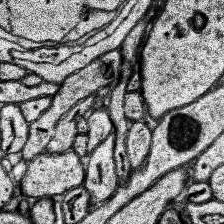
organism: Human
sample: Temporal Lobe